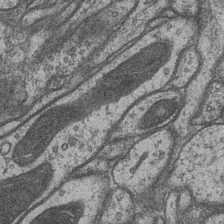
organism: Drosophila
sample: Optic medulla